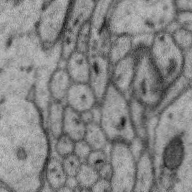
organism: Zebra finch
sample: Brain